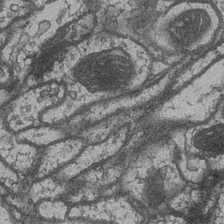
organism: Drosophila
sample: Optic medulla